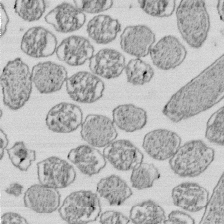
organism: E. coli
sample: Bacterial nucleoid